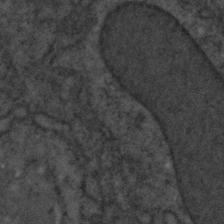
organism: C. elegans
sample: C. elegans embryo